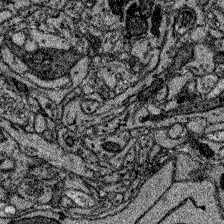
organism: Zebrafish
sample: Larval olfactory bulb